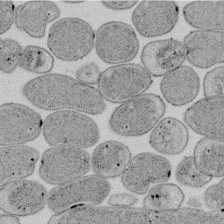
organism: E. coli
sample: Bacterial nucleoid